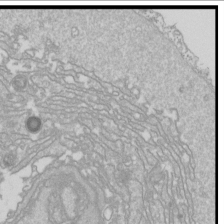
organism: Drosophila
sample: Cell division; meiosis; drosophila spermatocytes